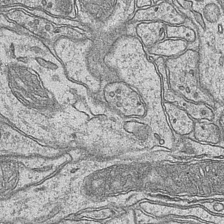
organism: Mouse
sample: CA1 Hippocampus